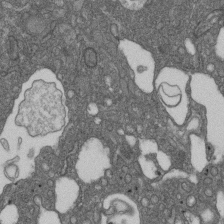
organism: Drosophila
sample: Nephrocyte